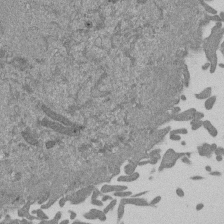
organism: Mouse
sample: ED-1 cell nuclei; centrioles